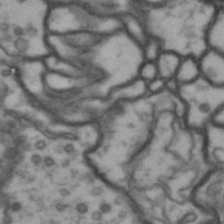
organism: Drosophila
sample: Brain